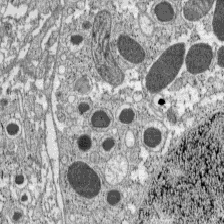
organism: C57BL Mouse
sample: Pancreatic islet